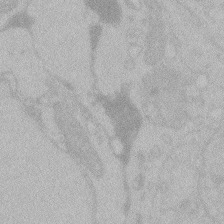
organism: Zebrafish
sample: Macrophage infected with Toxoplasma gondii